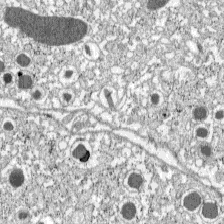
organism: C57BL Mouse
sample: Pancreatic islet